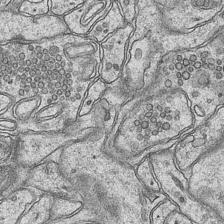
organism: Mouse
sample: CA1 Hippocampus